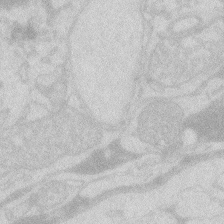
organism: Zebrafish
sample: Macrophage